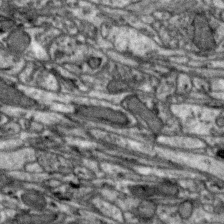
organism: Zebra finch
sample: Brain